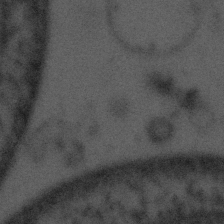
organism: Tuwongella immobilis